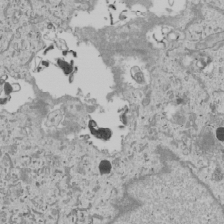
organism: Human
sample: Mitochondria in U2OS cells